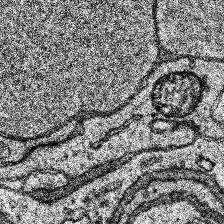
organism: Human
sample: Temporal Lobe